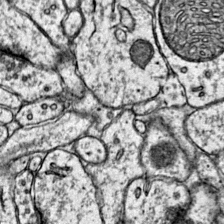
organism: Mouse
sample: Primary visual cortex